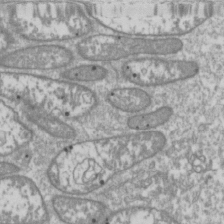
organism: Drosophila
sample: Cell division; meiosis; drosophila spermatocytes